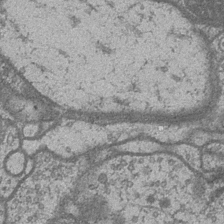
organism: Drosophila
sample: Optic medulla